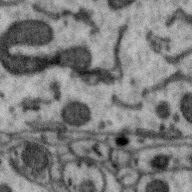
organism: Zebra finch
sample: Brain